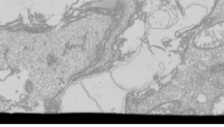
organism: Drosophila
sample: Cell division; meiosis; drosophila spermatocytes